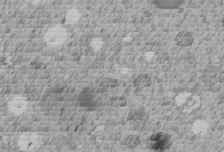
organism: C. elegans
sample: C. elegans embryo early stage